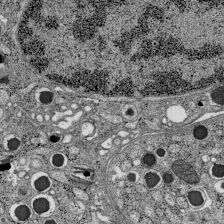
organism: C57BL Mouse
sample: Pancreatic islet